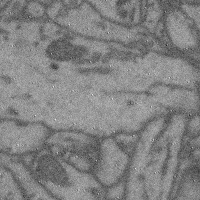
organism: Mouse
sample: Cerebral cortex